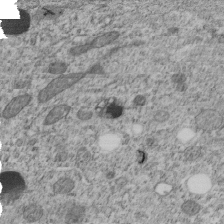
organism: C. elegans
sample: C. elegans embryo early stage